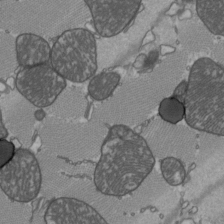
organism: C57BL Mouse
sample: Heart